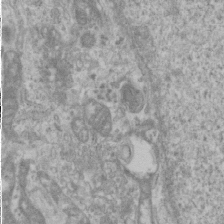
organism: Human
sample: Cilia; basal body in RPE cells